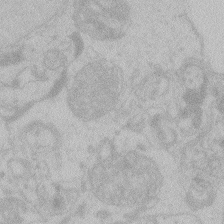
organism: Zebrafish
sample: Macrophage infected with Toxoplasma gondii